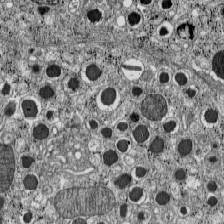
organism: C57BL Mouse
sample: Pancreatic islet